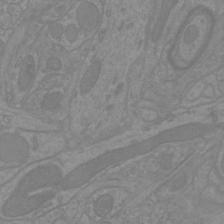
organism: Mouse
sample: Cortical neurons